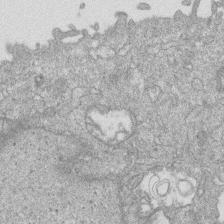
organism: Human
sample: HeLa cell HIV synapse